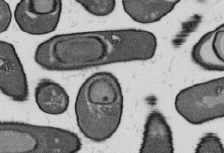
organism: B. subtilis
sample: Bacterial spore